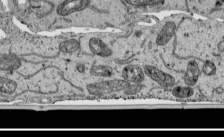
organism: Human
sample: Mitochondria in HCT116 cells